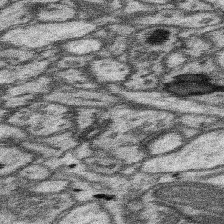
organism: Mouse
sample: Somatosensory cortex neuropil